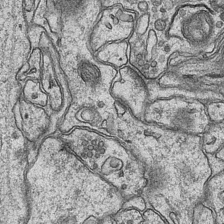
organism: Mouse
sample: CA1 Hippocampus